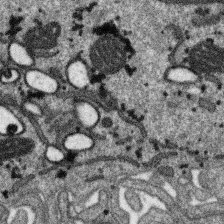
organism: Human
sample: Lung epithelial cells infected with SARS-CoV-2